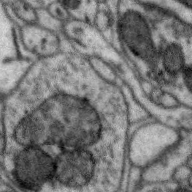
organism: Zebra finch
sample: Brain